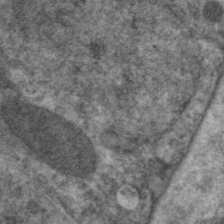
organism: C. elegans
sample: Pharynx